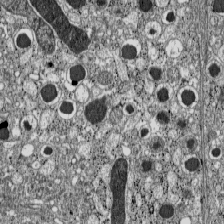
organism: C57BL Mouse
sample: Pancreatic islet